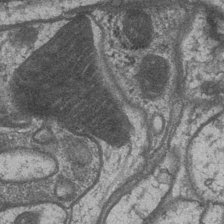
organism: Drosophila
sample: Optic medulla